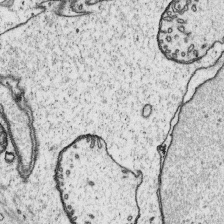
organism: Platynereis dumerilii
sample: Parapodia